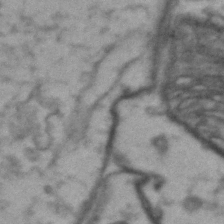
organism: Drosophila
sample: Brain